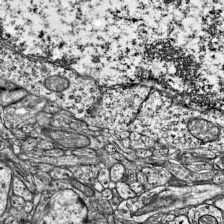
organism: Mouse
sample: Visual Cortex